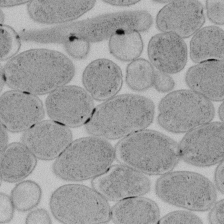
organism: E. coli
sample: Bacterial nucleoid